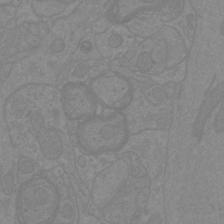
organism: Mouse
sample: Cortical neurons